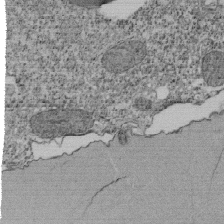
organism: Tetrahymena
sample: Cilia in tetrahymena